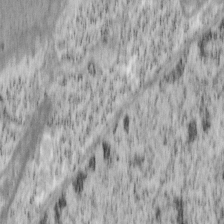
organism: Human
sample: HeLa cells